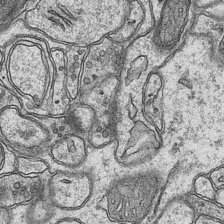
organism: Mouse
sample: CA1 Hippocampus